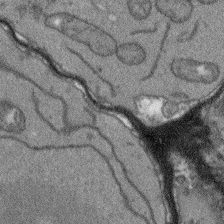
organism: Arabidopsis thaliana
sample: Root tip